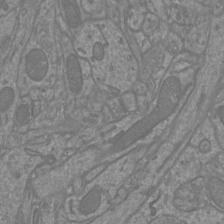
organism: Mouse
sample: Cortical neurons